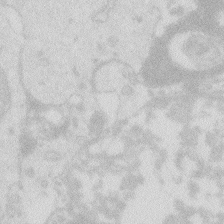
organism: Zebrafish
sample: Macrophage